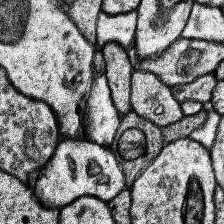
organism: Human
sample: Temporal Lobe